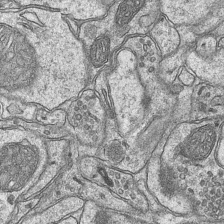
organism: Mouse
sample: CA1 Hippocampus